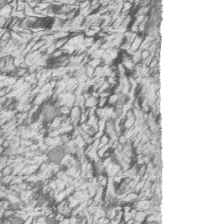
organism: Zebrafish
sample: synaptic ribbons in rod cells and cone cells